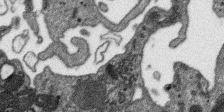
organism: Human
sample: Lung epithelial cells infected with SARS-CoV-2